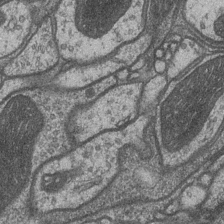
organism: Drosophila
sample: Optic medulla